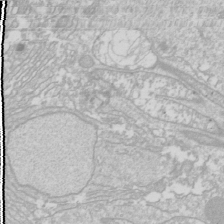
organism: Drosophila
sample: Cell division; meiosis; drosophila spermatocytes